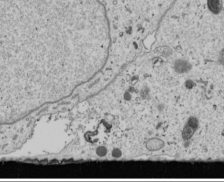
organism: Human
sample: Mitochondria in U2OS cells